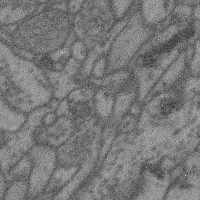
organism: Mouse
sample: Cerebral cortex